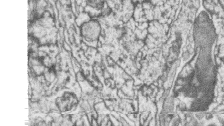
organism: Zebrafish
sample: synaptic ribbons in rod cells and cone cells